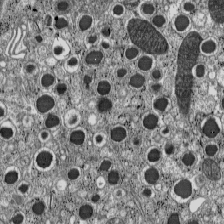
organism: C57BL Mouse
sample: Pancreatic islet